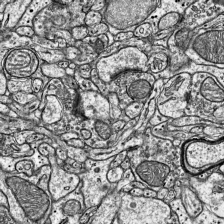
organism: Mouse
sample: Visual Cortex